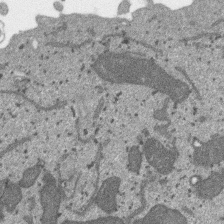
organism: Human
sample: Lung epithelial cells infected with SARS-CoV-2